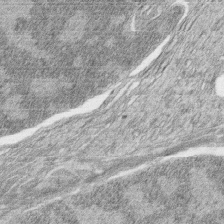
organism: Zebrafish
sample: synaptic ribbons in rod cells and cone cells